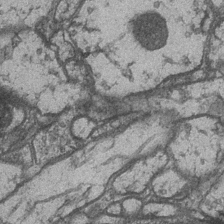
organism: Drosophila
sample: Optic medulla